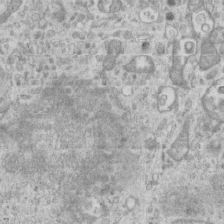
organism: Mouse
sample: Centriole in ependymal cells